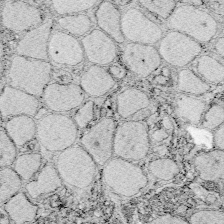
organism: Zebrafish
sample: Whole-Brain